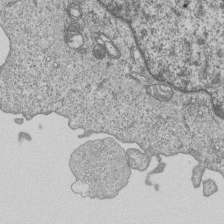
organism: Human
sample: MDA-MB-231 cells